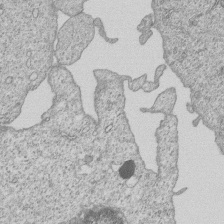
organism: Human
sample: MDA-MB-231 cells